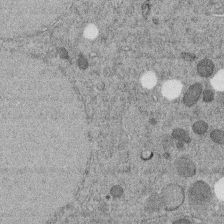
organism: C. elegans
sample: C. elegans embryo early stage